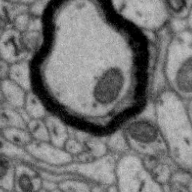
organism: Zebra finch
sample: Brain